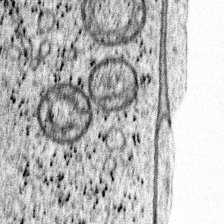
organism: Human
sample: HeLa cells